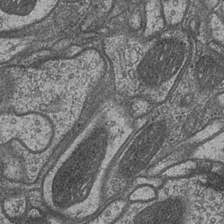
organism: Drosophila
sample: Optic medulla